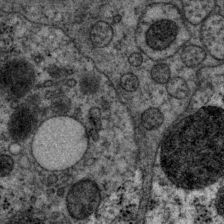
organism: P. pacificus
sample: Pharynx